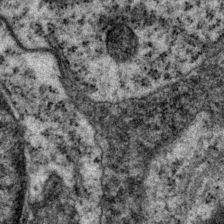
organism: P. pacificus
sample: Pharynx